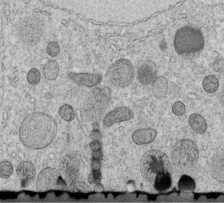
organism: C. elegans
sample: C. elegans embryo early stage